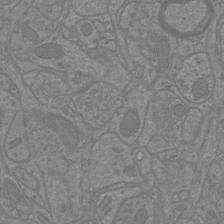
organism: Mouse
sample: Cortical neurons